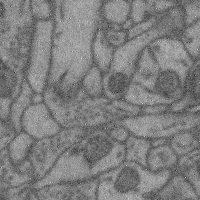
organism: Mouse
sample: Cerebral cortex